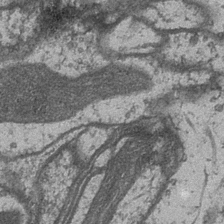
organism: Drosophila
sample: Optic medulla